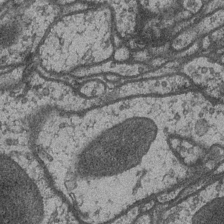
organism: Drosophila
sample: Optic medulla